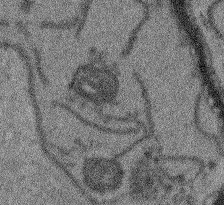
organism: Arabidopsis thaliana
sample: Root tip